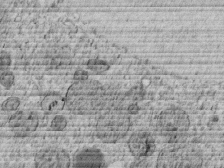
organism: C. elegans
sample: C. elegans embryo early stage